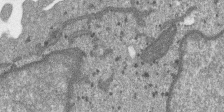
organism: Human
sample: Lung epithelial cells infected with SARS-CoV-2